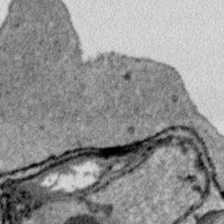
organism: Plasmodium falciparum